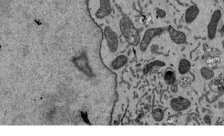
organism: Mouse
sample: ED-1 cell nuclei; centrioles